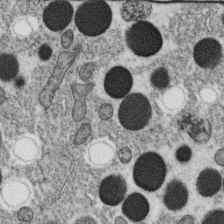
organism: C. elegans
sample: C. elegans oocyte; sperm cells